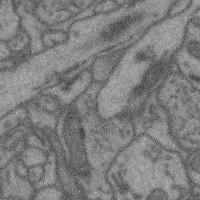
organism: Mouse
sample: Cerebral cortex